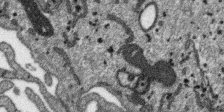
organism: Human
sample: Lung epithelial cells infected with SARS-CoV-2